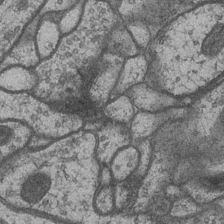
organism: Drosophila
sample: Optic medulla